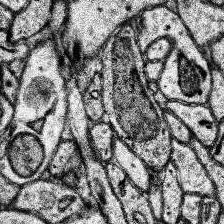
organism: Human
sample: Temporal Lobe